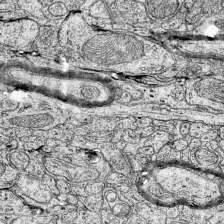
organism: Mouse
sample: Visual Cortex